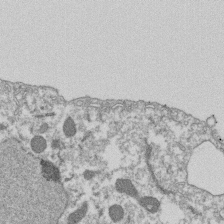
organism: Dictyostelium discoideum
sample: Dictyostelium multivesicular bodies